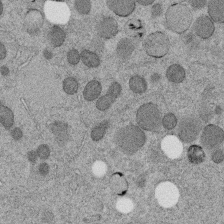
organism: C. elegans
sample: C. elegans embryo early stage